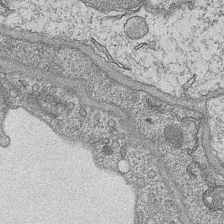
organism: Mouse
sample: CA1 Hippocampus